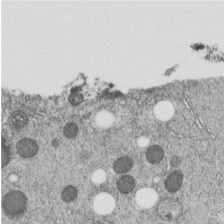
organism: C. elegans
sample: C. elegans embryo early stage